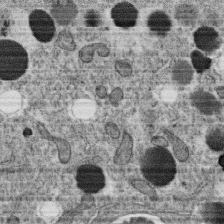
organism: C. elegans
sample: C. elegans oocyte; sperm cells